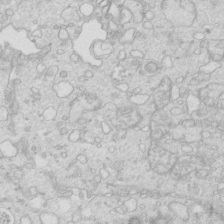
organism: Mouse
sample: Multiciliated cells